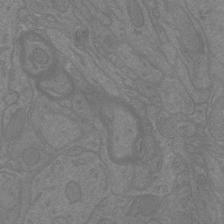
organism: Mouse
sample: Cortical neurons